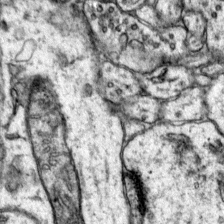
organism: Mouse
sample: Primary visual cortex